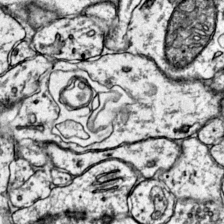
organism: Mouse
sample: Primary visual cortex